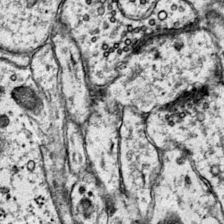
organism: Mouse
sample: Primary visual cortex